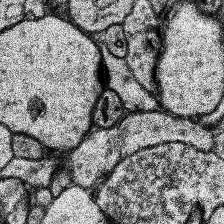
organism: Human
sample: Temporal Lobe